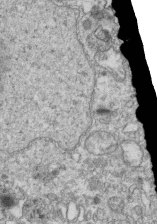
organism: Human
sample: HeLa cell HIV synapse